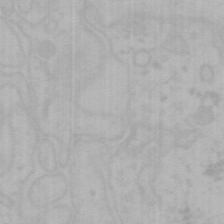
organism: Mouse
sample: Choroid plexus